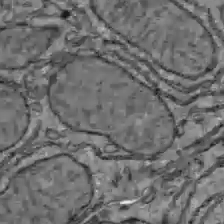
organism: C57BL Mouse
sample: Liver